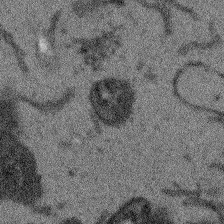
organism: Arabidopsis thaliana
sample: Root tip